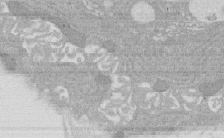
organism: Rat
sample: Salivary granule